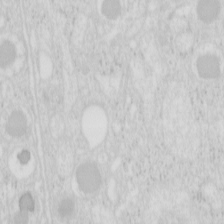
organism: Mouse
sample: Pancreas